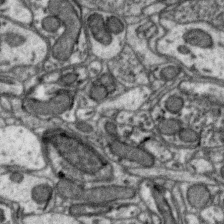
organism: Zebra finch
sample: Brain